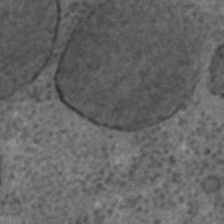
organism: C. elegans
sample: C. elegans embryo